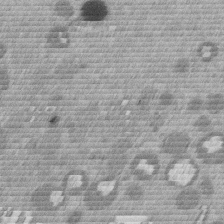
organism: Mouse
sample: Dividing mouse embryo 1 cell stage